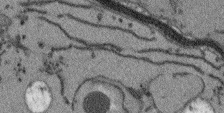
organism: Arabidopsis thaliana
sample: Root tip